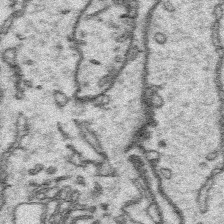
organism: Platynereis dumerilii